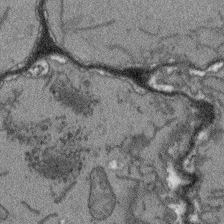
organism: Arabidopsis thaliana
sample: Root tip